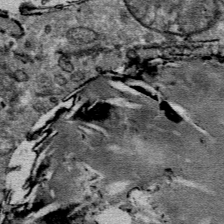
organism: Mouse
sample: Mouse Salivary gland